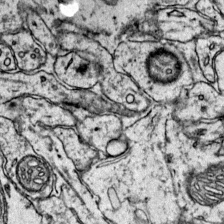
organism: Mouse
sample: Primary visual cortex